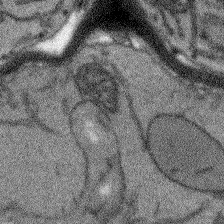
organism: Arabidopsis thaliana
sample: Root tip